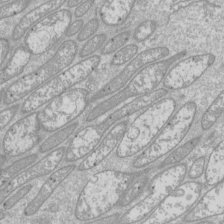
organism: Drosophila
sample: Cell division; meiosis; drosophila spermatocytes